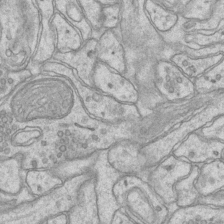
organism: Mouse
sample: CA1 Hippocampus